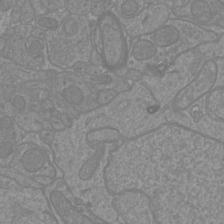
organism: Mouse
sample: Cortical neurons